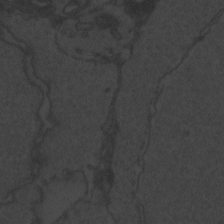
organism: Zebrafish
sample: Macrophage infected with Toxoplasma gondii